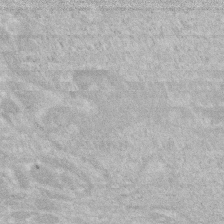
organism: Human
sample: HIV infected U937 cells